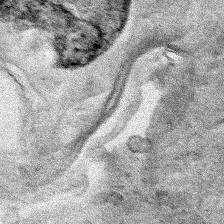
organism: Human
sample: Mitochondria in HCT116 cells